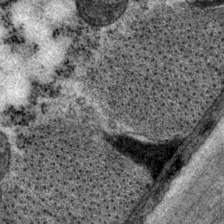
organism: P. pacificus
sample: Pharynx